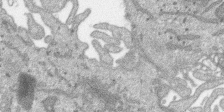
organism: Human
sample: Lung epithelial cells infected with SARS-CoV-2